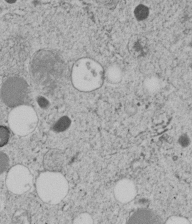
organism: C. elegans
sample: C. elegans embryo early stage